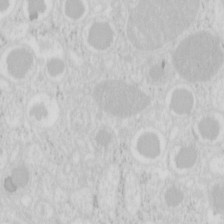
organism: Mouse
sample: Pancreas